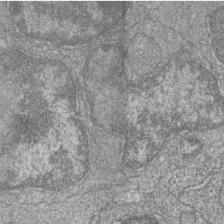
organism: Zebrafish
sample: Cilia; retinal pigment epithelium